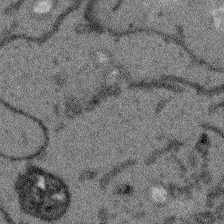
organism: Arabidopsis thaliana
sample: Root tip